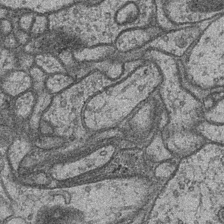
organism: Drosophila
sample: Optic medulla